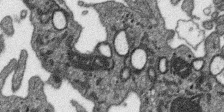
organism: Human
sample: Lung epithelial cells infected with SARS-CoV-2